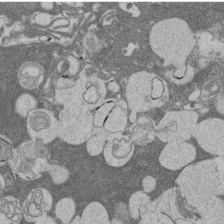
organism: Rat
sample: Salivary granule